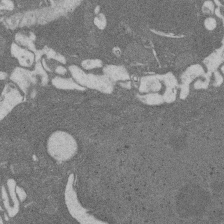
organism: Rat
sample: Salivary granule